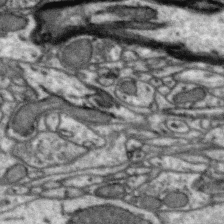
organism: Zebra finch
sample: Brain